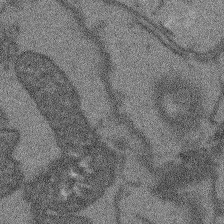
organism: Arabidopsis thaliana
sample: Root tip